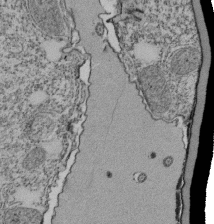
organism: Tetrahymena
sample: Cilia in tetrahymena